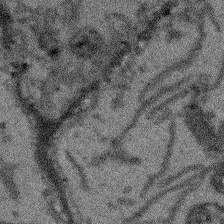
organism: Arabidopsis thaliana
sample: Root tip